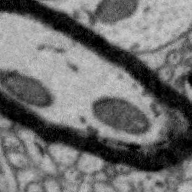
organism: Zebra finch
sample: Brain